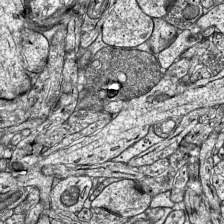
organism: Mouse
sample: Visual Cortex